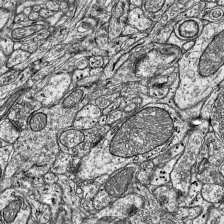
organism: Mouse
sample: Visual Cortex